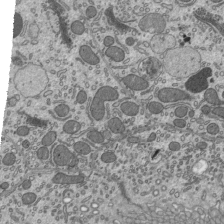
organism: Mouse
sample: Mouse epididymis efferent ductule cilia